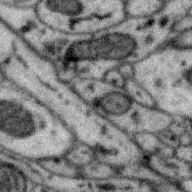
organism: Zebra finch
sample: Brain